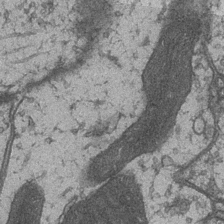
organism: Drosophila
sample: Optic medulla